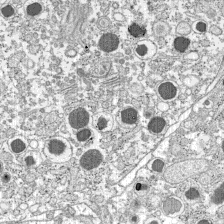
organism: C57BL Mouse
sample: Pancreatic islet